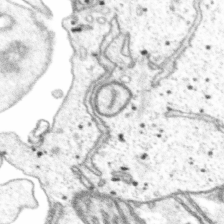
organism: Human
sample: HeLa cells